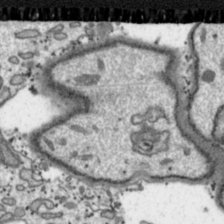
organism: Toxoplasma gondii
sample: Parasites in a vacuole inside a host cell